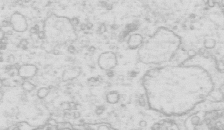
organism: Mouse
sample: Multiciliated cells